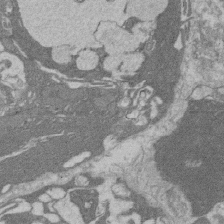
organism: Rat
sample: Salivary granule